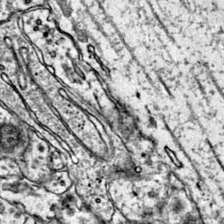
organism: Mouse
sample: Primary visual cortex